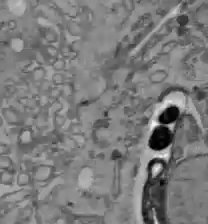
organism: C57BL Mouse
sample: Liver